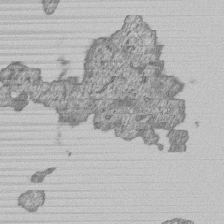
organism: Human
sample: MDA-MB-231 cells